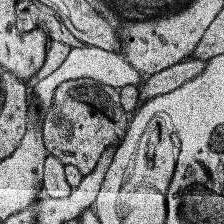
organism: Human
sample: Temporal Lobe